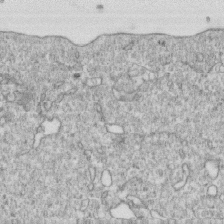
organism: Mouse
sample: Activated OT-1 CD8+ T cells